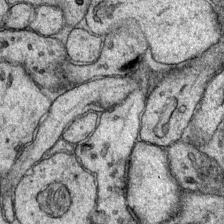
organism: Mouse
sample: Primary visual cortex